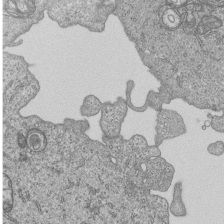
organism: Human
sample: MDA-MB-231 cells